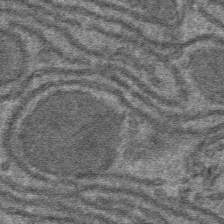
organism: Mouse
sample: Mouse hepatocytes